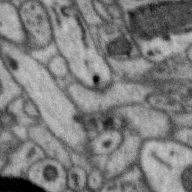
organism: Zebra finch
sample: Brain